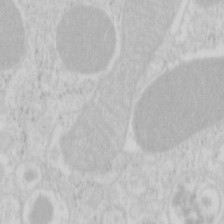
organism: Mouse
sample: Pancreas